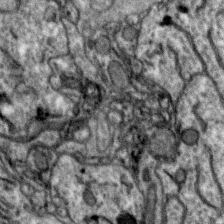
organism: Zebra finch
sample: Brain